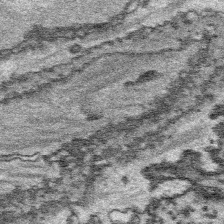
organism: Platynereis dumerilii